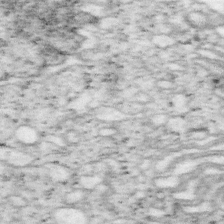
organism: Mouse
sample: OT-I killer T cells with ID8 ovarian cancer cells